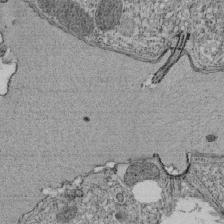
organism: Tetrahymena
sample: Cilia in tetrahymena